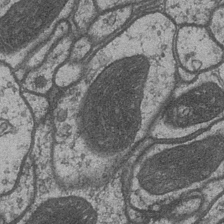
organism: Drosophila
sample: Optic medulla